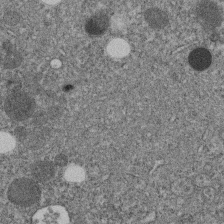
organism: C. elegans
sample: C. elegans embryo early stage